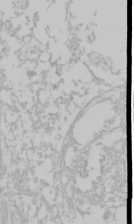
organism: Mouse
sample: Cancer cell death in ED-1 cells